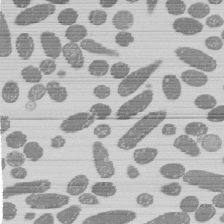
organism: E. coli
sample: Bacterial nucleoid